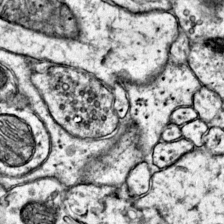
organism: Mouse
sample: Primary visual cortex